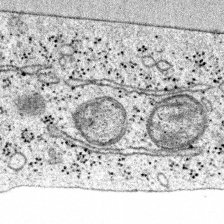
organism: Human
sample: HeLa cells